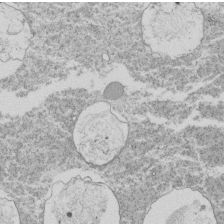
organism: Tetrahymena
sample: Cilia in tetrahymena